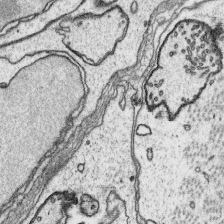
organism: Platynereis dumerilii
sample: Parapodia